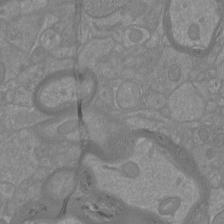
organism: Mouse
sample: Cortical neurons